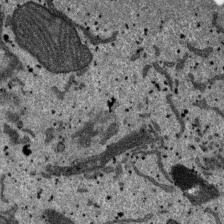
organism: Human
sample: Lung epithelial cells, uninfected (mock) control